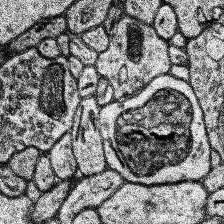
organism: Human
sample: Temporal Lobe